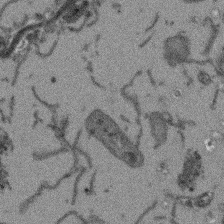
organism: Arabidopsis thaliana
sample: Root tip